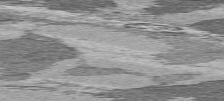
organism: C57BL Mouse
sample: Heart